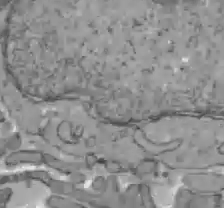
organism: C57BL Mouse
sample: Liver